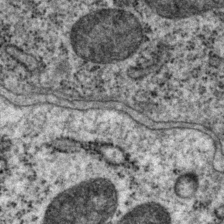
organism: P. pacificus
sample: Pharynx